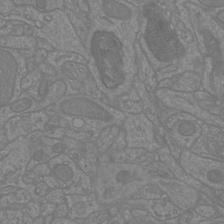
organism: Mouse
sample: Cortical neurons